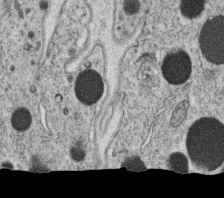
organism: C. elegans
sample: C. elegans oocyte; sperm cells